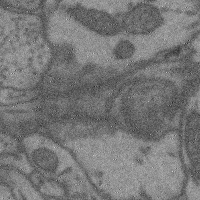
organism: Mouse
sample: Cerebral cortex